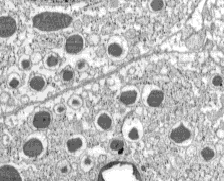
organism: C57BL Mouse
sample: Pancreatic islet